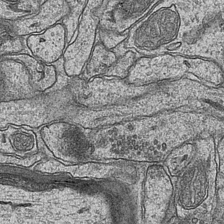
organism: Mouse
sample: CA1 Hippocampus